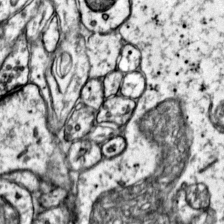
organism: Mouse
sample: Primary visual cortex